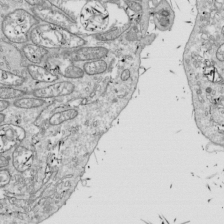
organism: Drosophila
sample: Cell division; meiosis; drosophila spermatocytes